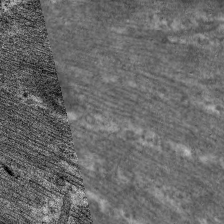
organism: C. elegans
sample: Pharynx